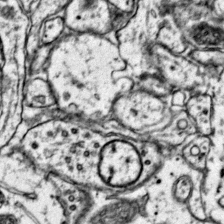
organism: Mouse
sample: Primary visual cortex